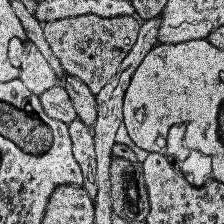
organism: Human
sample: Temporal Lobe